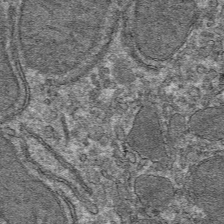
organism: Mouse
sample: Mouse hepatocytes